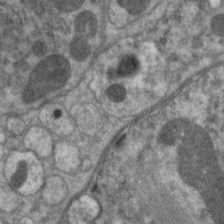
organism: C. elegans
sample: Pharynx